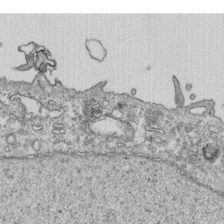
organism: Human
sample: HeLa cell HIV synapse